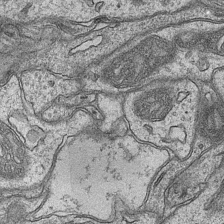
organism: Mouse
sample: CA1 Hippocampus